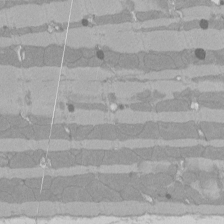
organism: Rat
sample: Left ventricle